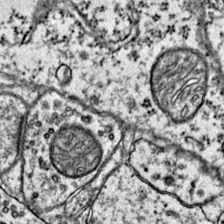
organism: Mouse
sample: Primary visual cortex